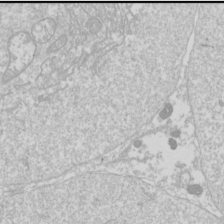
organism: Drosophila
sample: Cell division; meiosis; drosophila spermatocytes